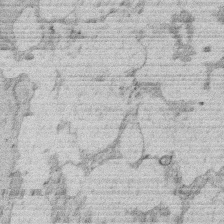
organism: Rat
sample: Salivary granule